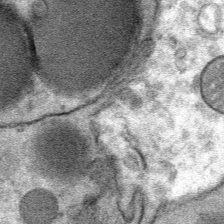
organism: Mouse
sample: Mouse Salivary gland